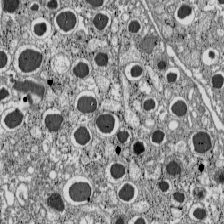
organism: C57BL Mouse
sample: Pancreatic islet